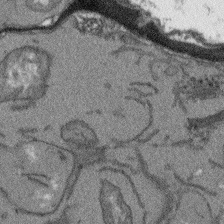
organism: Arabidopsis thaliana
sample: Root tip